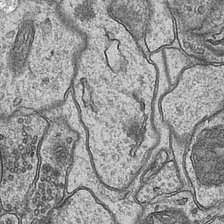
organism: Mouse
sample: CA1 Hippocampus